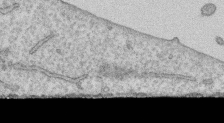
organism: Human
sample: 1205lu cells